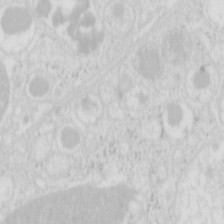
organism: Mouse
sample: Pancreas